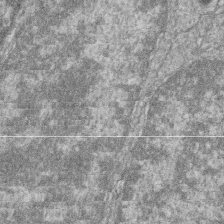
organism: Zebrafish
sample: Cilia; retinal pigment epithelium